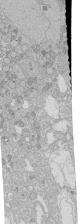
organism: Human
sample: Caco-2 cells